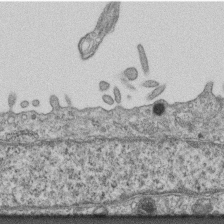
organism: Mouse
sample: Centriole in ependymal cells